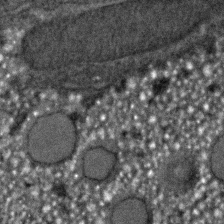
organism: C. elegans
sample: C. elegans embryo